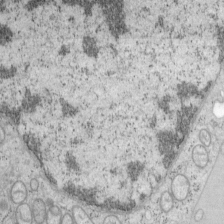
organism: Mouse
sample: OT-I killer T cells with ID8 ovarian cancer cells